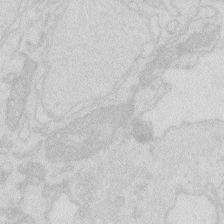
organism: Zebrafish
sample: Macrophage